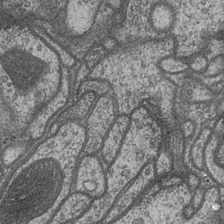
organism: Drosophila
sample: Optic medulla